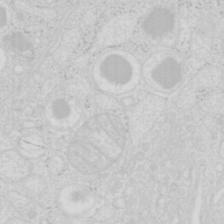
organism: Mouse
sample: Pancreas